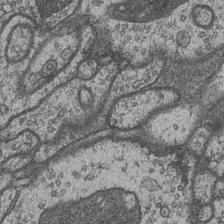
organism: Drosophila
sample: Optic medulla